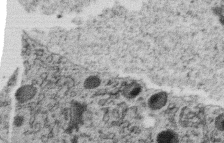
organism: C. elegans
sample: C. elegans oocyte; sperm cells